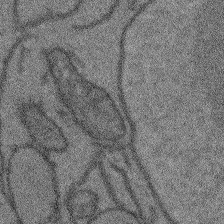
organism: Arabidopsis thaliana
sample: Root tip